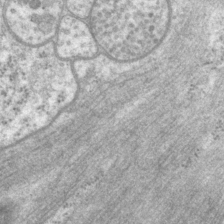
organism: P. pacificus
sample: Pharynx